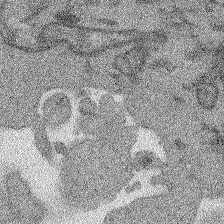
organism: Human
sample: HeLa cells